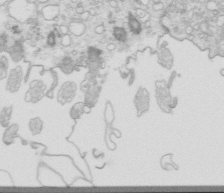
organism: Mouse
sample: Multiciliated cells